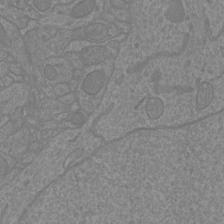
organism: Mouse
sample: Cortical neurons